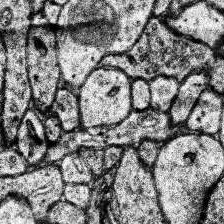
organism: Human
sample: Temporal Lobe